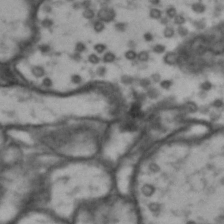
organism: Drosophila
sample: Brain